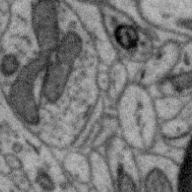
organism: Zebra finch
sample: Brain